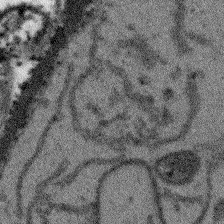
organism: Arabidopsis thaliana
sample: Root tip